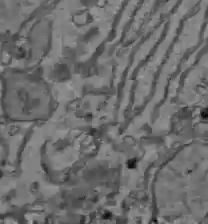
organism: C57BL Mouse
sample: Liver